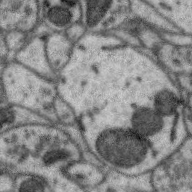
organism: Zebra finch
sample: Brain